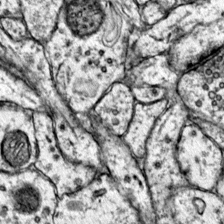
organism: Mouse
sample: Primary visual cortex